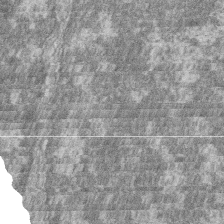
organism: Zebrafish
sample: Cilia; retinal pigment epithelium